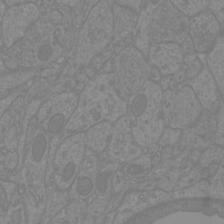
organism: Mouse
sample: Cortical neurons